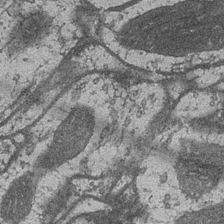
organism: Drosophila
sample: Optic medulla